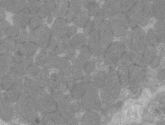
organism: C57BL Mouse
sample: Tibialis anterior muscle cell